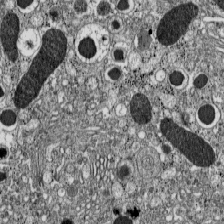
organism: C57BL Mouse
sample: Pancreatic islet